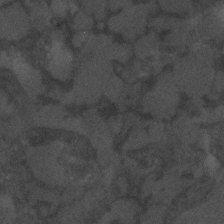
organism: C. elegans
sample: C. elegans embryo